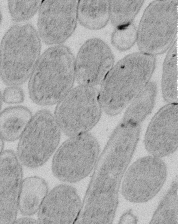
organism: E. coli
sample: Bacterial nucleoid